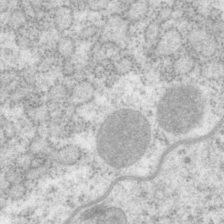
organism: P. pacificus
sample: Pharynx